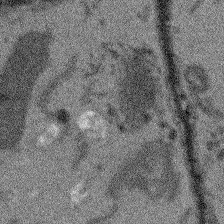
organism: Arabidopsis thaliana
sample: Root tip